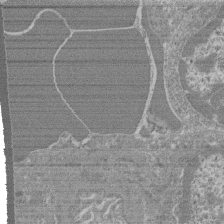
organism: Mouse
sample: Glomerulus